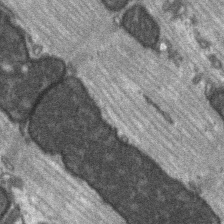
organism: C57BL Mouse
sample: Soleus